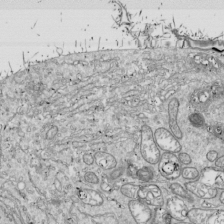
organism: Drosophila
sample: Cell division; meiosis; drosophila spermatocytes